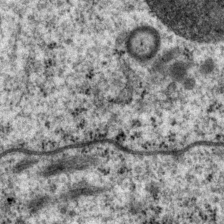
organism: P. pacificus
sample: Pharynx